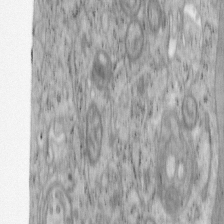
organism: Human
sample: HeLa cells